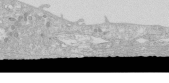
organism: Human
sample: Caco-2 cells